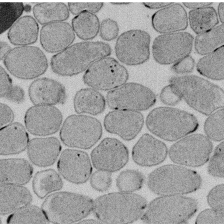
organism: E. coli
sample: Bacterial nucleoid